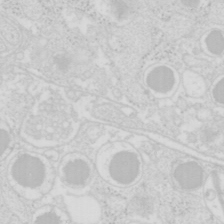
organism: Mouse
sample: Pancreas